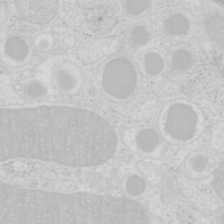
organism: Mouse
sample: Pancreas